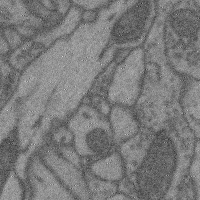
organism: Mouse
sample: Cerebral cortex